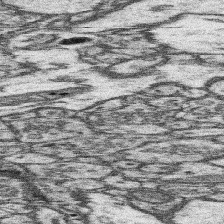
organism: Mouse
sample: Somatosensory cortex neuropil